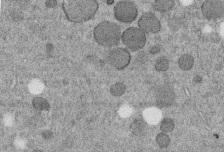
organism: C. elegans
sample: C. elegans embryo early stage